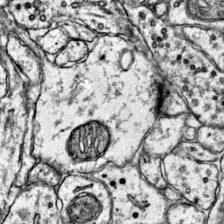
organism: Mouse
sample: Primary visual cortex